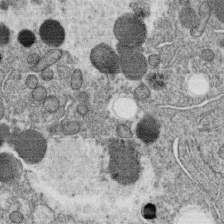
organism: C. elegans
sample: C. elegans oocyte; sperm cells